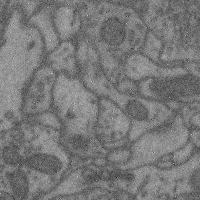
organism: Mouse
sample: Cerebral cortex